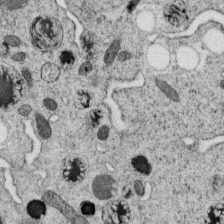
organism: C. elegans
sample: C. elegans oocyte; sperm cells